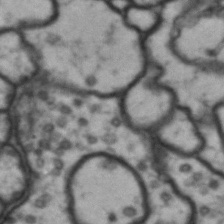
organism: Drosophila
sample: Brain